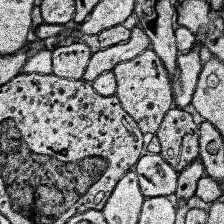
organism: Human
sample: Temporal Lobe